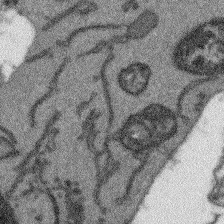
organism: Arabidopsis thaliana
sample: Root tip